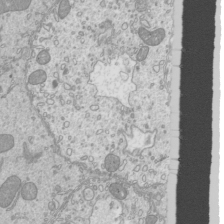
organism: Mouse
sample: Cilia; mouse epididymis